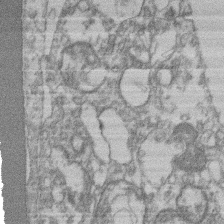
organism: Mouse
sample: T cell stromal cell synapse